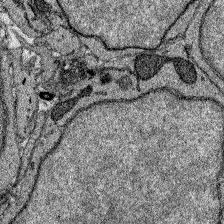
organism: Zebrafish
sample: Larval olfactory bulb